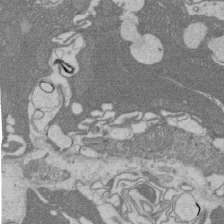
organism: Rat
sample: Salivary granule